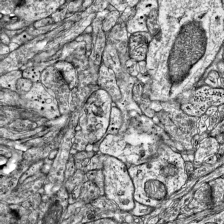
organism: Mouse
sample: Visual Cortex